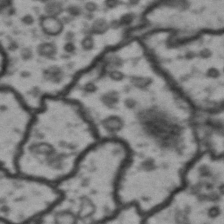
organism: Drosophila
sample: Brain